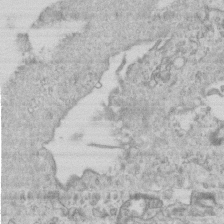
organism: Mouse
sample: Centriole in ependymal cells